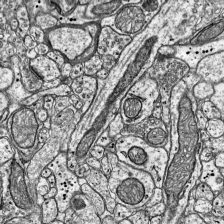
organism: Mouse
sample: Visual Cortex